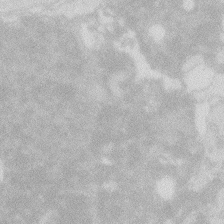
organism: Zebrafish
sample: Macrophage